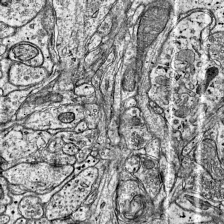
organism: Mouse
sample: Visual Cortex